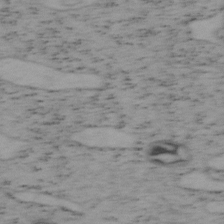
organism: Mouse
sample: OT-I killer T cells with ID8 ovarian cancer cells